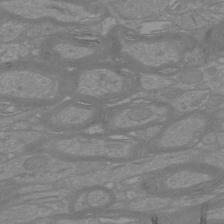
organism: Mouse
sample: Cortical neurons